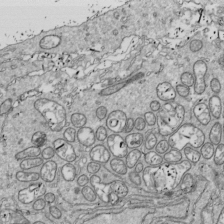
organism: Drosophila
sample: Cell division; meiosis; drosophila spermatocytes